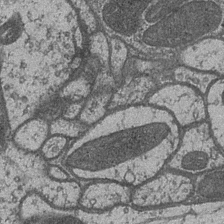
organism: Drosophila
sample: Optic medulla